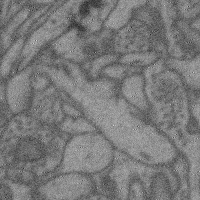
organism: Mouse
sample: Cerebral cortex